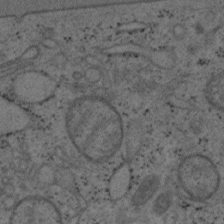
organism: Human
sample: HeLa cells